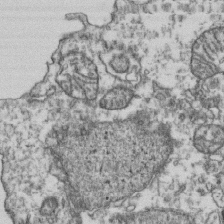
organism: Human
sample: Activated Jurkat CD4+ T cells